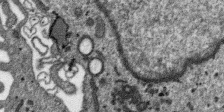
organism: Human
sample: Lung epithelial cells infected with SARS-CoV-2